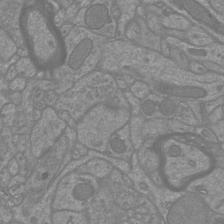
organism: Mouse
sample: Cortical neurons